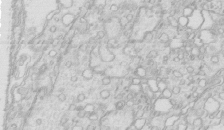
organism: Mouse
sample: Multiciliated cells